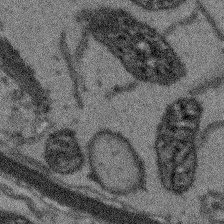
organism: Arabidopsis thaliana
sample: Root tip